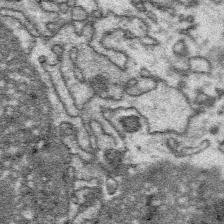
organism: Platynereis dumerilii